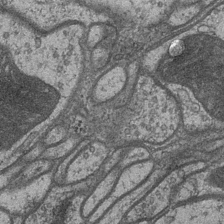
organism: Drosophila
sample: Optic medulla